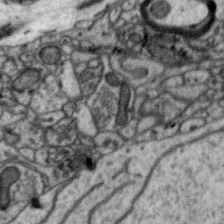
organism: Zebra finch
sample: Brain